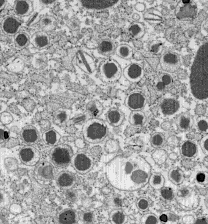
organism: C57BL Mouse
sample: Pancreatic islet